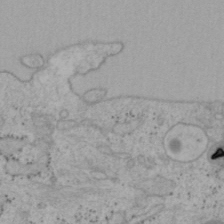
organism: Human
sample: HeLa cells